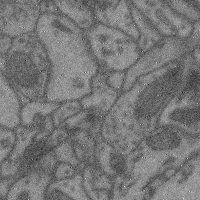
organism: Mouse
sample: Cerebral cortex